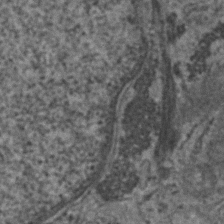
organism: Human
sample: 1205lu cells